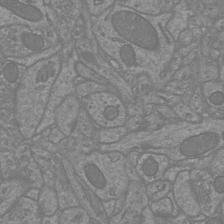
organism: Mouse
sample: Cortical neurons